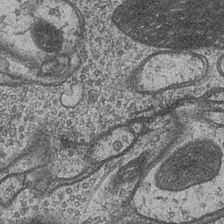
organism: Drosophila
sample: Optic medulla